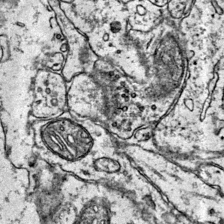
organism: Mouse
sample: Primary visual cortex